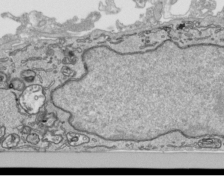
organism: Human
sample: Mitochondria in HCT116 cells